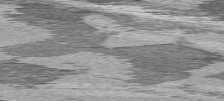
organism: C57BL Mouse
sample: Heart